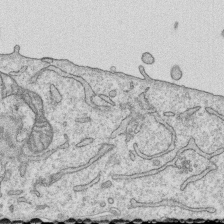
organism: Human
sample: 1205lu cells